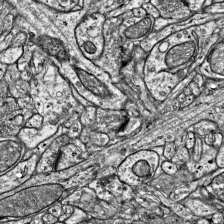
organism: Mouse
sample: Visual Cortex